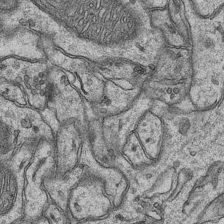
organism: Mouse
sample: CA1 Hippocampus